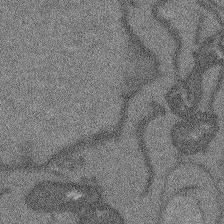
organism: Arabidopsis thaliana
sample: Root tip